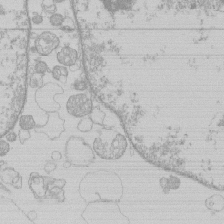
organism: Human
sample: Macrophage cells